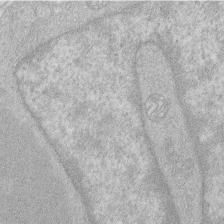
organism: Human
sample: Macrophage cells